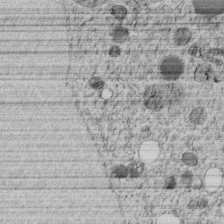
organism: C. elegans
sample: C. elegans embryo early stage